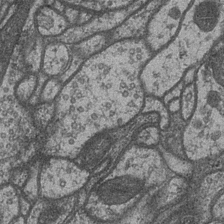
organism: Drosophila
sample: Optic medulla